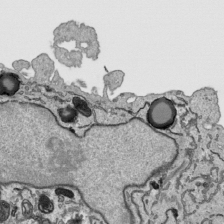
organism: Human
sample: Mitochondria in HCT116 cells